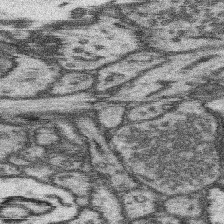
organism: Mouse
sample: Somatosensory cortex neuropil